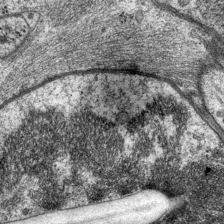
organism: P. pacificus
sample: Pharynx